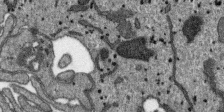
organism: Human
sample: Lung epithelial cells, uninfected (mock) control